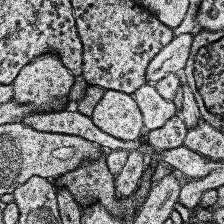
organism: Human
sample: Temporal Lobe